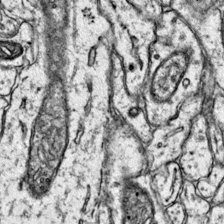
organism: Mouse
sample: Primary visual cortex